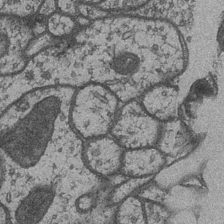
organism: Drosophila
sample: Optic medulla